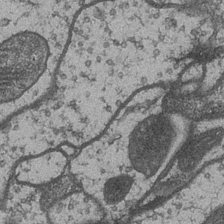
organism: Drosophila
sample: Optic medulla